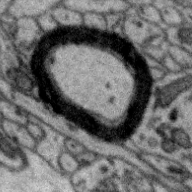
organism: Zebra finch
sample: Brain